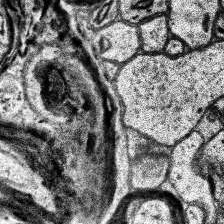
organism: Human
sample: Temporal Lobe